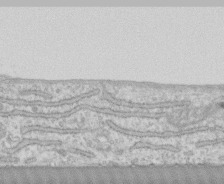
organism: Human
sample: CRL-1474